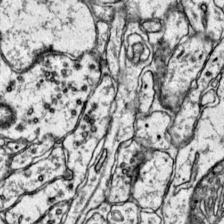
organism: Mouse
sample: Primary visual cortex